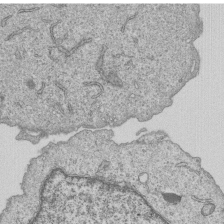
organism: Human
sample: MDA-MB-231 cells